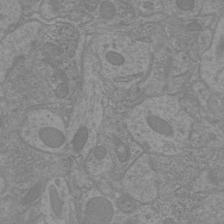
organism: Mouse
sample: Cortical neurons